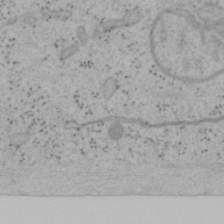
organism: Human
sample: HeLa cells